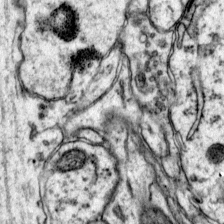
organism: Mouse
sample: Primary visual cortex